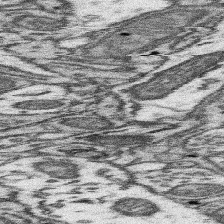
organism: Mouse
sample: Somatosensory cortex neuropil